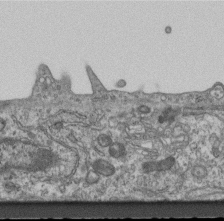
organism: Mouse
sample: Centriole in ependymal cells